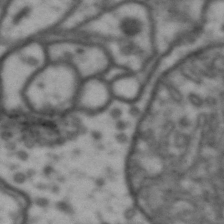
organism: Drosophila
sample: Brain